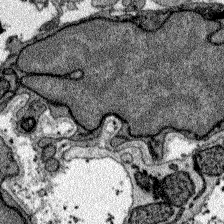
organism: Zebrafish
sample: Larval olfactory bulb